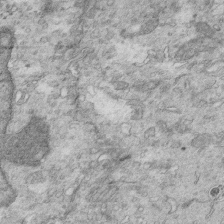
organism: Mouse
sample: Multiciliated cells